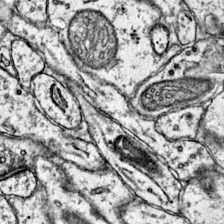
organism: Mouse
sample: Primary visual cortex